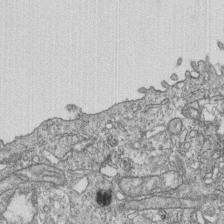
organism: Human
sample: HeLa cell HIV synapse